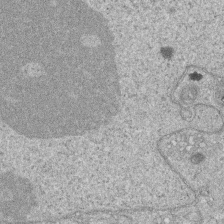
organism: Human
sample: HeLa cell HIV synapse